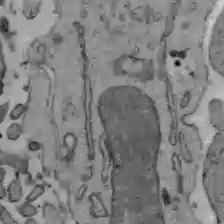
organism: C57BL Mouse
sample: Liver